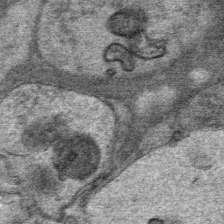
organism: Mouse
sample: Mouse Salivary gland